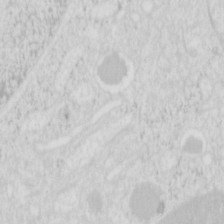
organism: Mouse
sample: Pancreas